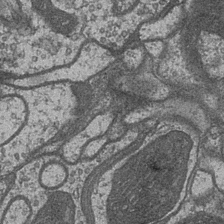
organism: Drosophila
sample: Optic medulla